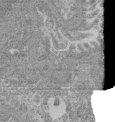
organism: Mouse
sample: Glomerulus